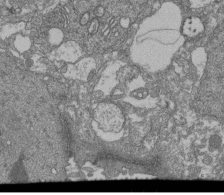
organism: Human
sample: Retinal organoid Rod and Cone cells